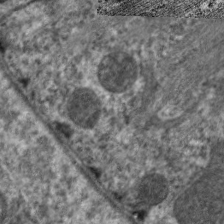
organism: C. elegans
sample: Pharynx